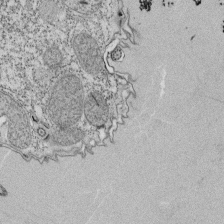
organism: Tetrahymena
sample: Cilia in tetrahymena